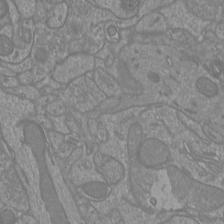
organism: Mouse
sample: Cortical neurons